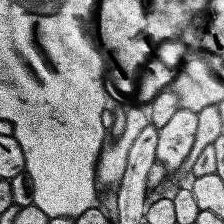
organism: Human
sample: Temporal Lobe